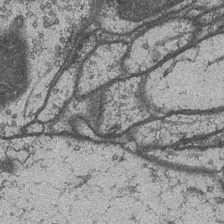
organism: Drosophila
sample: Optic medulla